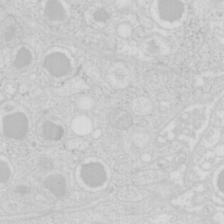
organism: Mouse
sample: Pancreas